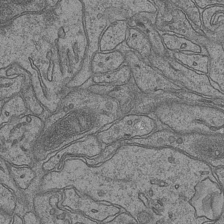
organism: Mouse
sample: CA1 Hippocampus